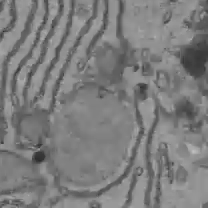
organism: C57BL Mouse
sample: Liver